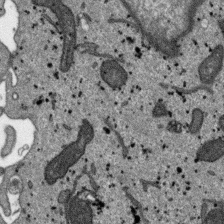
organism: Human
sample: Lung epithelial cells, uninfected (mock) control